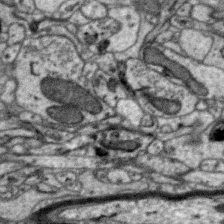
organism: Zebra finch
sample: Brain